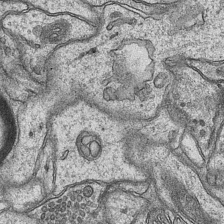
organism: Mouse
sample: CA1 Hippocampus